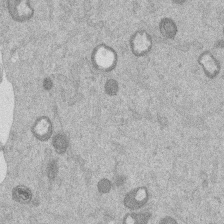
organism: Mouse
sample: Dividing mouse embryo 1 cell stage